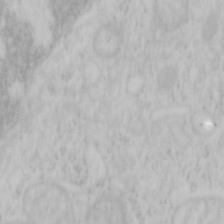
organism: Mouse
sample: OT-I killer T cells with ID8 ovarian cancer cells